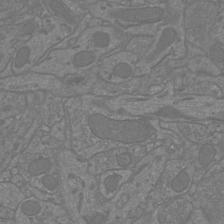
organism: Mouse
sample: Cortical neurons